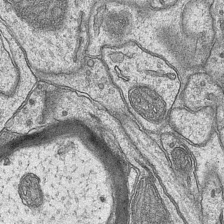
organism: Mouse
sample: CA1 Hippocampus